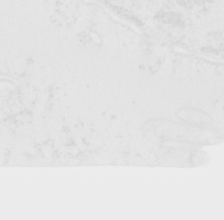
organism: Human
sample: T Cells (Jurkat E6.1)